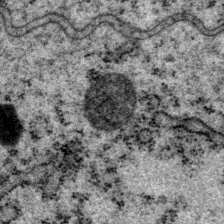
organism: P. pacificus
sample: Pharynx